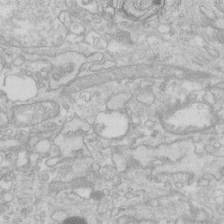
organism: Human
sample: Fibroblast cells